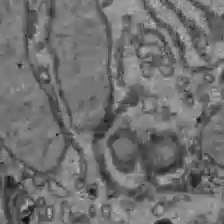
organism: C57BL Mouse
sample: Liver